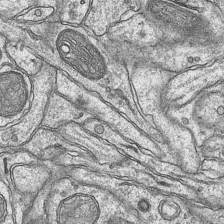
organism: Mouse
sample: CA1 Hippocampus